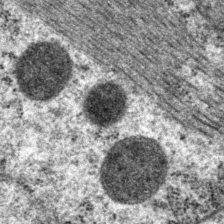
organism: P. pacificus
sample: Pharynx